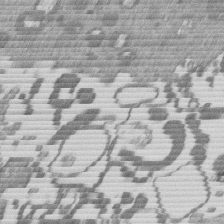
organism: Mouse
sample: Dividing mouse embryo 1 cell stage